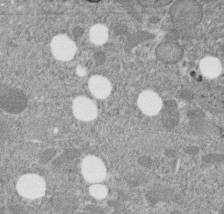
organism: C. elegans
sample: C. elegans embryo early stage